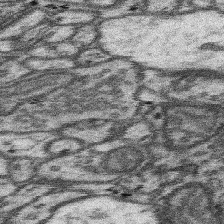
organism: Mouse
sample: Somatosensory cortex neuropil